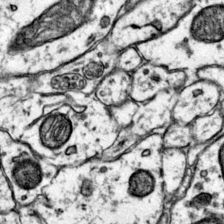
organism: Mouse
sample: Primary visual cortex